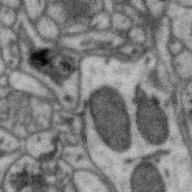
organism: Zebra finch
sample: Brain